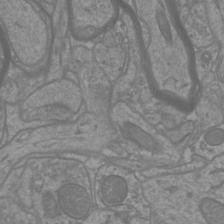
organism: Mouse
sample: Cortical neurons